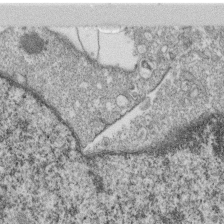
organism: African green monkey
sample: Vero E6 cells infected with SARS-CoV-2